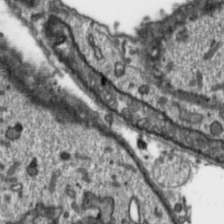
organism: Toxoplasma gondii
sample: Parasites in a vacuole inside a host cell